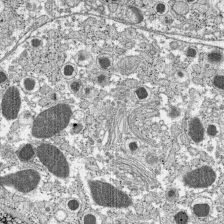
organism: C57BL Mouse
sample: Pancreatic islet